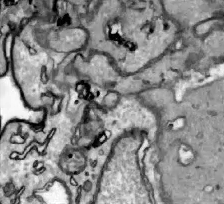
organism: Zebrafish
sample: Actinotrichia fibers